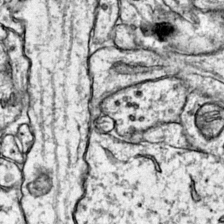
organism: Mouse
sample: Primary visual cortex